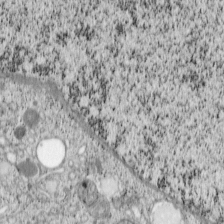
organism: African green monkey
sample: COS-7 cells